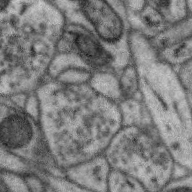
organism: Zebra finch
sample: Brain